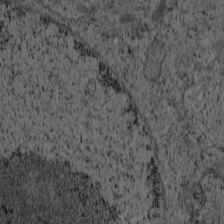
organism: African green monkey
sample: COS-7 cells